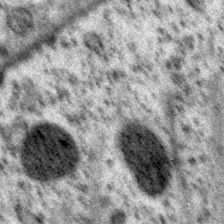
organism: P. pacificus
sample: Pharynx